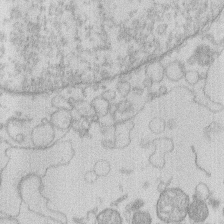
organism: Human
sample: Macrophage cells